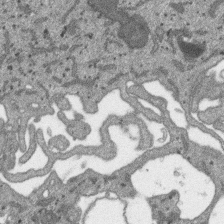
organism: Human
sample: Lung epithelial cells infected with SARS-CoV-2